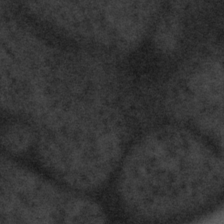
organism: Tuwongella immobilis